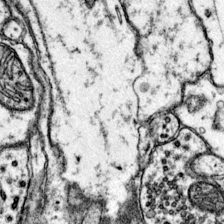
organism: Mouse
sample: Primary visual cortex